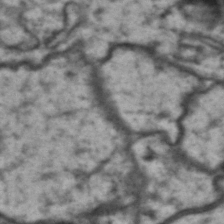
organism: Drosophila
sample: Brain